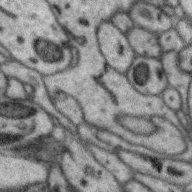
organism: Zebra finch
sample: Brain